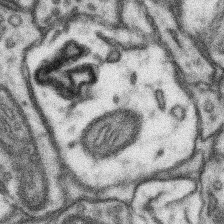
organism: Mouse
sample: Somatosensory cortex neuropil